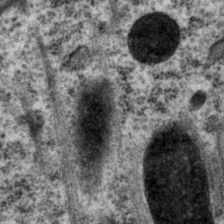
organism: P. pacificus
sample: Pharynx